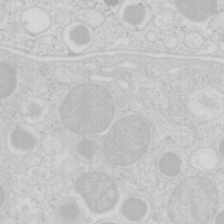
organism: Mouse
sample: Pancreas